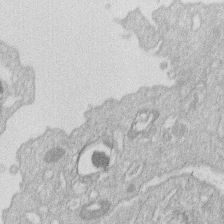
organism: Human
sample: Macrophage cells